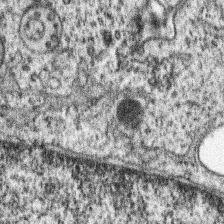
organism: Human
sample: HeLa cells